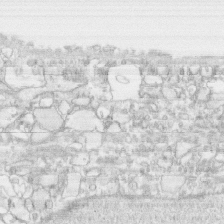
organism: Human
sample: CRL-1474